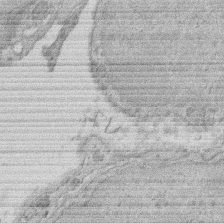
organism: Rat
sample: Salivary granule